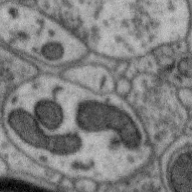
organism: Zebra finch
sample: Brain